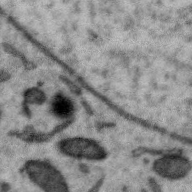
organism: Zebra finch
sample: Brain